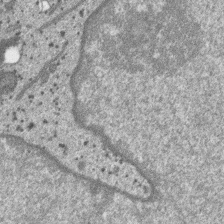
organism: Human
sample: Lung epithelial cells infected with SARS-CoV-2